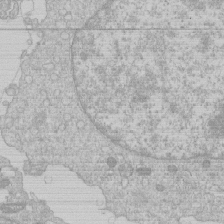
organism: Human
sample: Macrophage cells